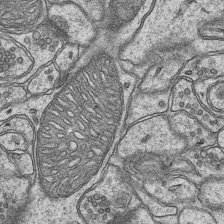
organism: Mouse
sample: CA1 Hippocampus